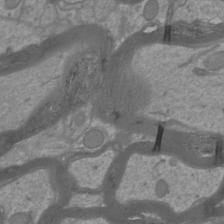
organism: Mouse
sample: Cortical neurons